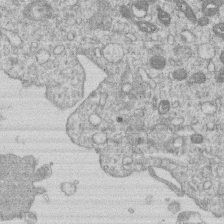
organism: Human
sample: Macrophage cells